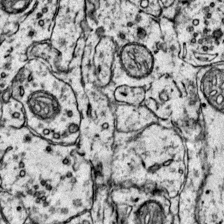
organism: Mouse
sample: Primary visual cortex